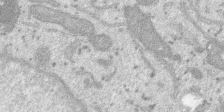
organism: Human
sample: Lung epithelial cells infected with SARS-CoV-2